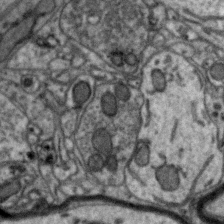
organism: Zebra finch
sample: Brain